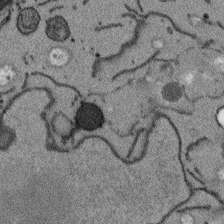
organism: Arabidopsis thaliana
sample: Root tip